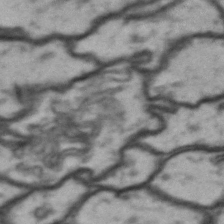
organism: Drosophila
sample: Brain